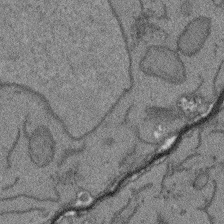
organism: Arabidopsis thaliana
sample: Root tip